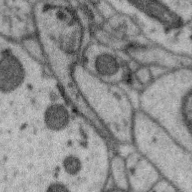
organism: Zebra finch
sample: Brain